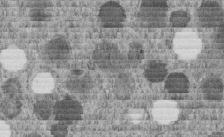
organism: C. elegans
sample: C. elegans embryo early stage